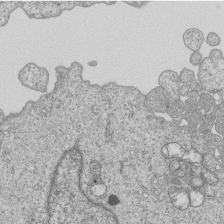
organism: Human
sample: MDA-MB-231 cells